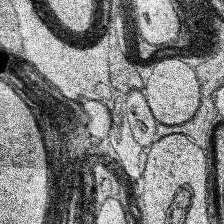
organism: Human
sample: Temporal Lobe